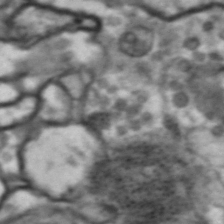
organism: Drosophila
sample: Brain